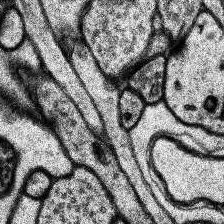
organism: Human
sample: Temporal Lobe